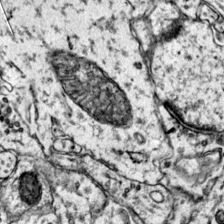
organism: Mouse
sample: Primary visual cortex